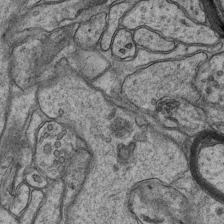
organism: Mouse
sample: CA1 Hippocampus